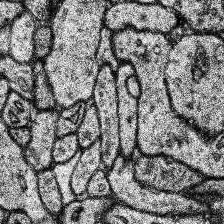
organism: Human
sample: Temporal Lobe